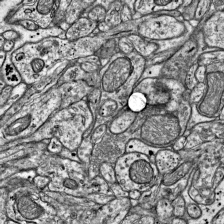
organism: Mouse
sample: Visual Cortex